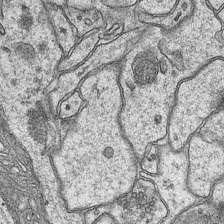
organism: Mouse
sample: CA1 Hippocampus